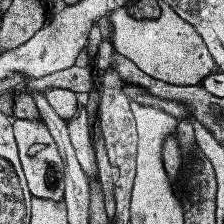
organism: Human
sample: Temporal Lobe